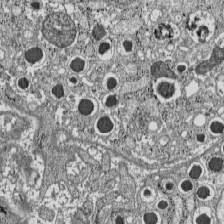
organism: C57BL Mouse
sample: Pancreatic islet